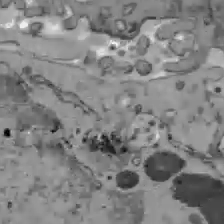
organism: C57BL Mouse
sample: Liver